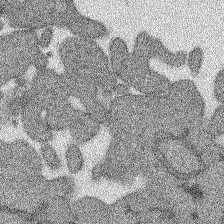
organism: Human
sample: HeLa cells